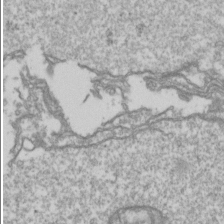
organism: Drosophila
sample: Cell division; meiosis; drosophila spermatocytes